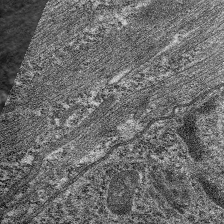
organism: C. elegans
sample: Pharynx